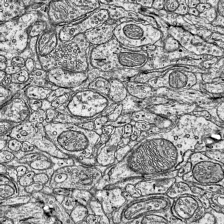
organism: Mouse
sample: Visual Cortex